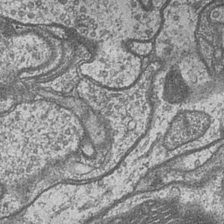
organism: Drosophila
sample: Optic medulla